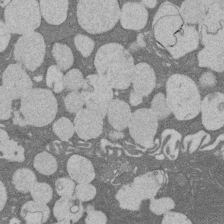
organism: Rat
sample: Salivary granule